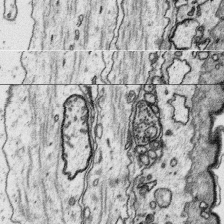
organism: Platynereis dumerilii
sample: Parapodia